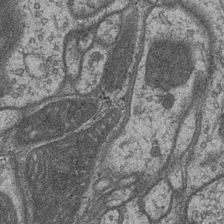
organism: Drosophila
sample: Optic medulla